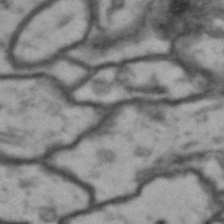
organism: Drosophila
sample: Brain